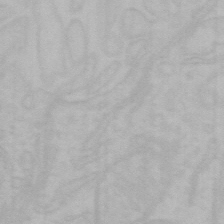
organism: Mouse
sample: Choroid plexus